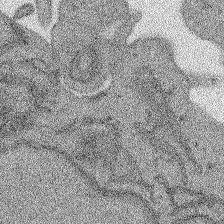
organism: Human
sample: HeLa cells